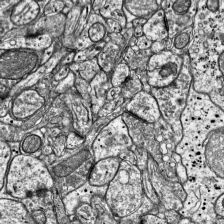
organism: Mouse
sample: Visual Cortex